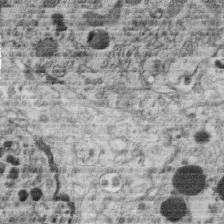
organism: C. elegans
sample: C. elegans oocyte; sperm cells